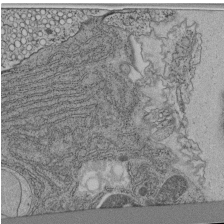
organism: C. elegans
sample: C. elegans pharynx